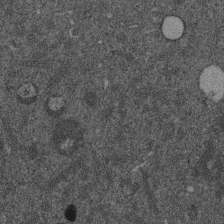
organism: Mouse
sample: Dividing mouse embryo 1 cell stage